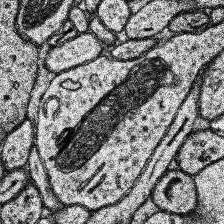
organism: Human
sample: Temporal Lobe